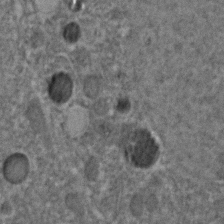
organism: C. elegans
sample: C. elegans embryo